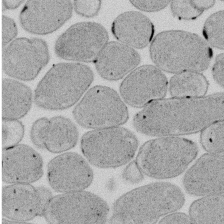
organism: E. coli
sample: Bacterial nucleoid